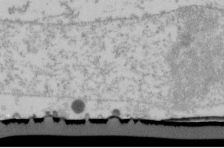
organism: Human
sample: U2-OS cells